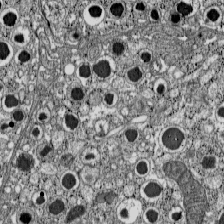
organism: C57BL Mouse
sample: Pancreatic islet